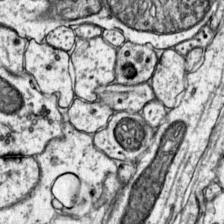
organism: Mouse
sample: Primary visual cortex